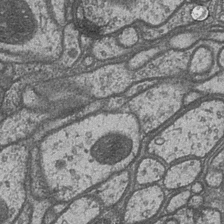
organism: Drosophila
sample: Optic medulla